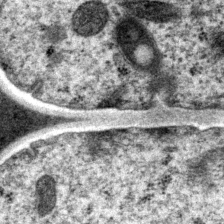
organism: P. pacificus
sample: Pharynx